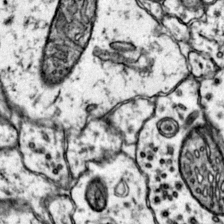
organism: Mouse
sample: Primary visual cortex